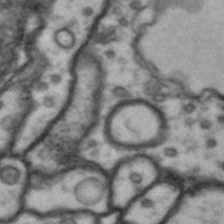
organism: Drosophila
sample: Brain